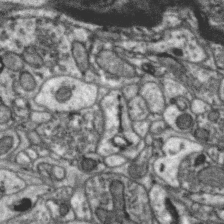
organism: Zebra finch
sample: Brain